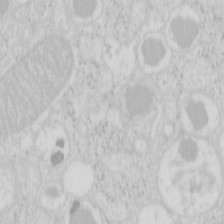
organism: Mouse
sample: Pancreas